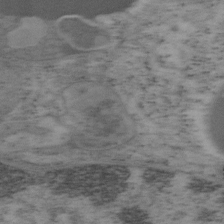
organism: Mouse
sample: OT-I killer T cells with ID8 ovarian cancer cells